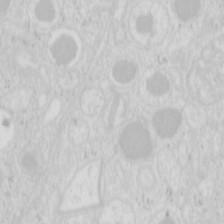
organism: Mouse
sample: Pancreas